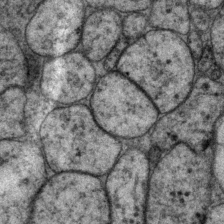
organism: P. pacificus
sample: Pharynx